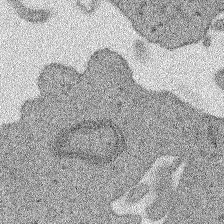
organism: Human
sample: HeLa cells